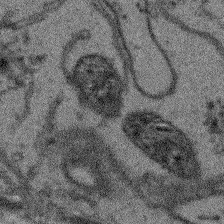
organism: Arabidopsis thaliana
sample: Root tip